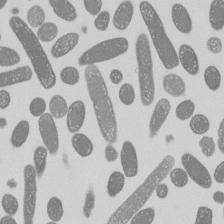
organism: E. coli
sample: Bacterial nucleoid